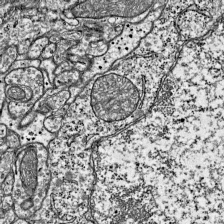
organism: Mouse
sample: Visual Cortex